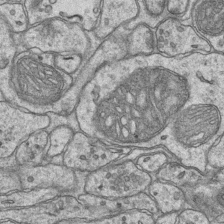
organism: Mouse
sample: CA1 Hippocampus